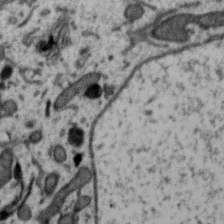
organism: Zebra finch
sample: Brain